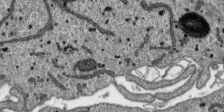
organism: Human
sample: Lung epithelial cells, uninfected (mock) control